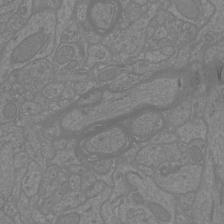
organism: Mouse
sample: Cortical neurons